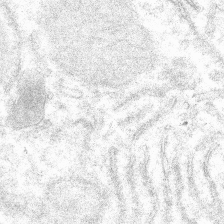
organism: Mouse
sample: Mouse hepatocytes